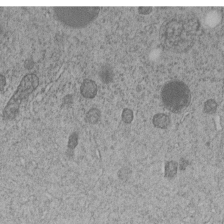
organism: C. elegans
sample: C. elegans embryo early stage